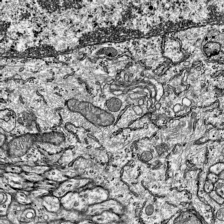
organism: Mouse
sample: Visual Cortex